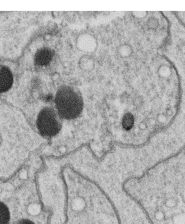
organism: C. elegans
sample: C. elegans oocyte; sperm cells